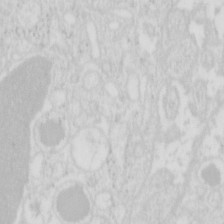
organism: Mouse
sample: Pancreas